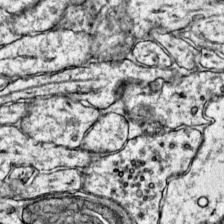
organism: Mouse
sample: Primary visual cortex